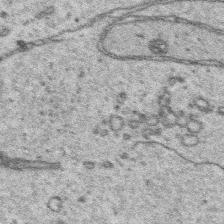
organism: Platynereis dumerilii